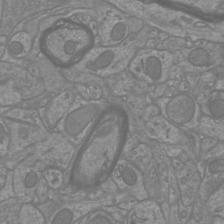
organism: Mouse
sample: Cortical neurons